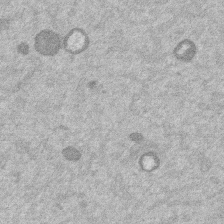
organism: Mouse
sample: Dividing mouse embryo 1 cell stage